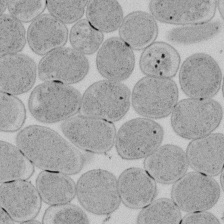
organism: E. coli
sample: Bacterial nucleoid